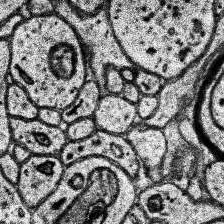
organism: Human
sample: Temporal Lobe